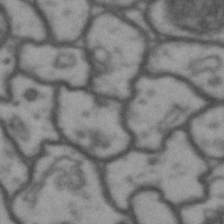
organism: Drosophila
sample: Brain